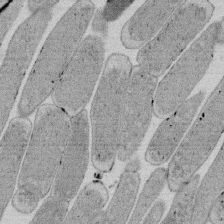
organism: E. coli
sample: Bacterial nucleoid